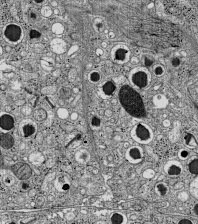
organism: C57BL Mouse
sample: Pancreatic islet